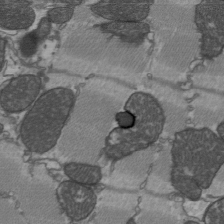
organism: C57BL Mouse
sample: Heart